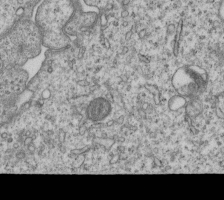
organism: Human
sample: MDA-MB-231 cells